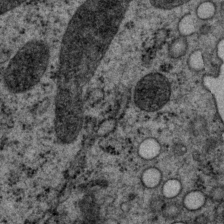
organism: P. pacificus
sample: Pharynx